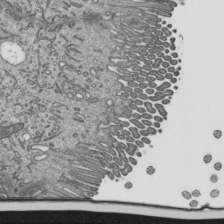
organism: Mouse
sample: Mouse epididymis efferent ductule cilia